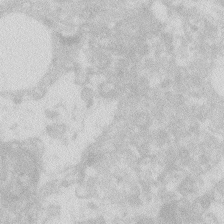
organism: Zebrafish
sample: Macrophage